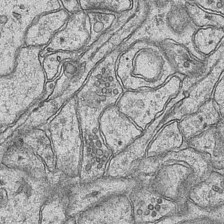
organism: Mouse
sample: CA1 Hippocampus